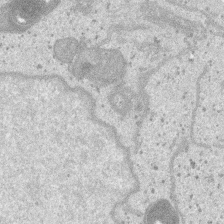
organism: Human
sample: Lung epithelial cells infected with SARS-CoV-2